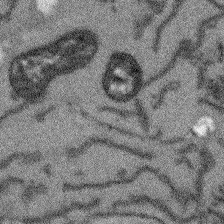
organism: Arabidopsis thaliana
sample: Root tip